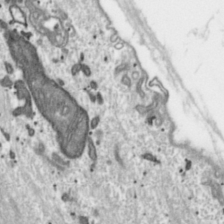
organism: Toxoplasma gondii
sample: Parasites in a vacuole inside a host cell